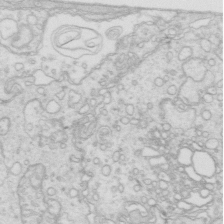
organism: Mouse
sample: Multiciliated cells